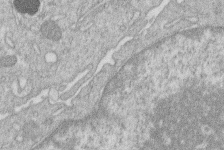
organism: Human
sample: Macrophage cells